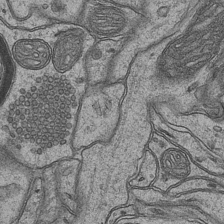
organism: Mouse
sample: CA1 Hippocampus